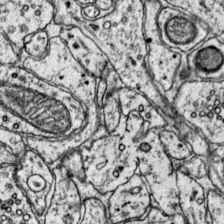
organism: Mouse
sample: Primary visual cortex